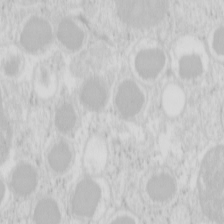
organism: Mouse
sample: Pancreas